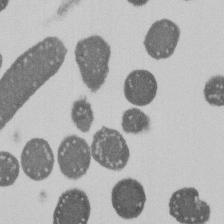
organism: E. coli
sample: Bacterial nucleoid